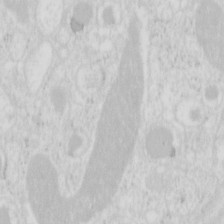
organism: Mouse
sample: Pancreas